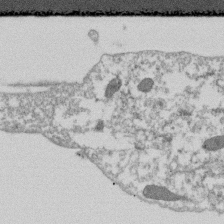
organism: Dictyostelium discoideum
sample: Dictyostelium multivesicular bodies